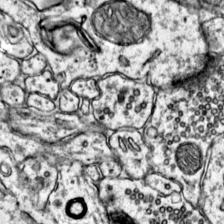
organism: Mouse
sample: Primary visual cortex